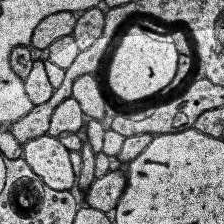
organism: Human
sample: Temporal Lobe